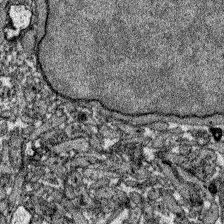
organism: Zebrafish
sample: Larval olfactory bulb